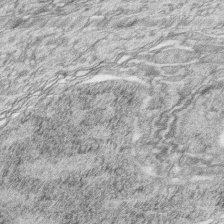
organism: Zebrafish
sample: synaptic ribbons in rod cells and cone cells